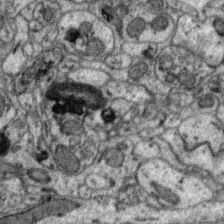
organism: Zebra finch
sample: Brain